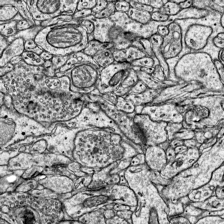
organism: Mouse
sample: Visual Cortex